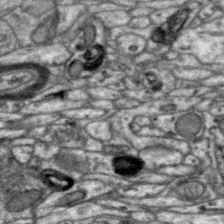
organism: Zebra finch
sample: Brain